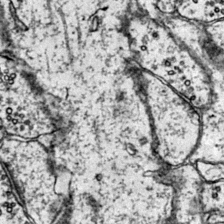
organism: Mouse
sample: Primary visual cortex